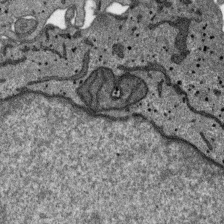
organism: Human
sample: Lung epithelial cells, uninfected (mock) control